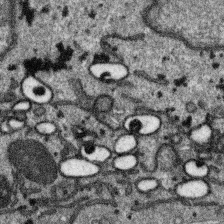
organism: Human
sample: Lung epithelial cells infected with SARS-CoV-2